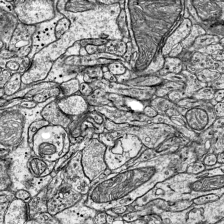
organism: Mouse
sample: Visual Cortex